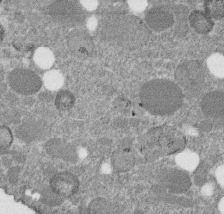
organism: C. elegans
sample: C. elegans embryo early stage